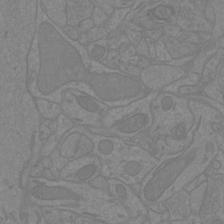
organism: Mouse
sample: Cortical neurons